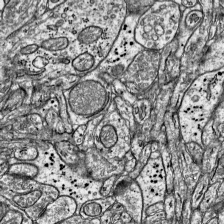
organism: Mouse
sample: Visual Cortex